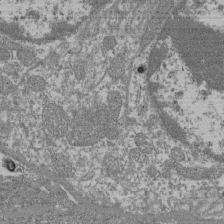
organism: Mouse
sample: Glomerulus